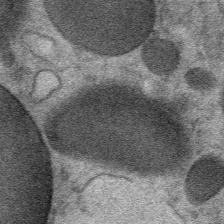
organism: Mouse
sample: Mouse Salivary gland